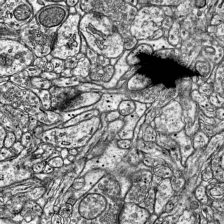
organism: Mouse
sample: Visual Cortex